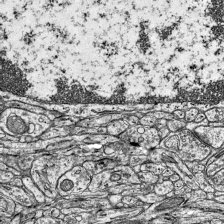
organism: Mouse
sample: Visual Cortex